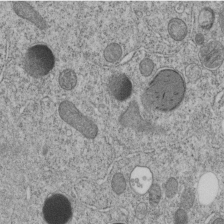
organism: C. elegans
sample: C. elegans embryo early stage